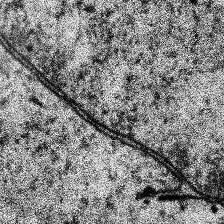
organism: Human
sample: Temporal Lobe